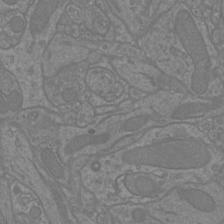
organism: Mouse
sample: Cortical neurons